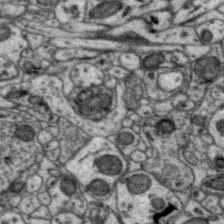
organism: Zebra finch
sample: Brain